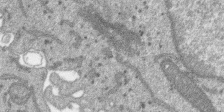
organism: Human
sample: Lung epithelial cells infected with SARS-CoV-2